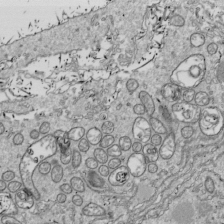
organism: Drosophila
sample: Cell division; meiosis; drosophila spermatocytes